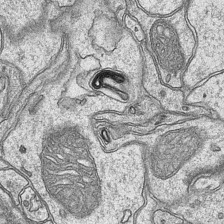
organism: Mouse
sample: CA1 Hippocampus